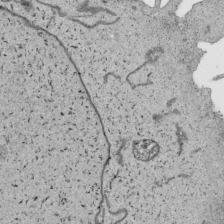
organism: Human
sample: Mitochondria in HCT116 cells